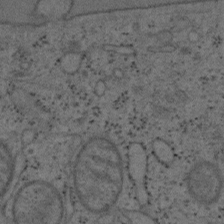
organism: Human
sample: HeLa cells